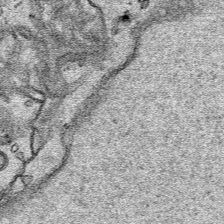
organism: Human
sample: Mitochondria in HCT116 cells